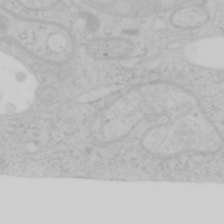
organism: Mouse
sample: OT-I killer T cells with ID8 ovarian cancer cells